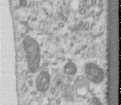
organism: Human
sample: Centriole in RPE cells